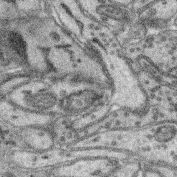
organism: Mouse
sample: Retina